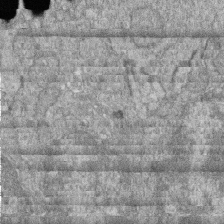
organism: Zebrafish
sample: Cilia; retinal pigment epithelium